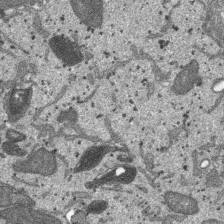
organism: Human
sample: Lung epithelial cells infected with SARS-CoV-2